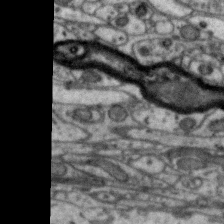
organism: Zebra finch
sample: Brain